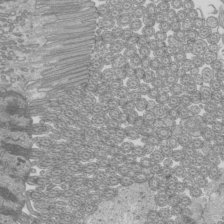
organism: Mouse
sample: Cilia; mouse epididymis